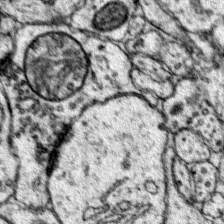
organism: Mouse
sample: Primary visual cortex